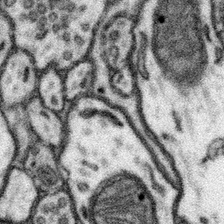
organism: Mouse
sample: Somatosensory cortex neuropil